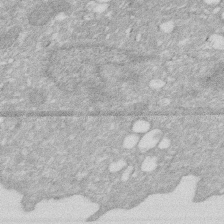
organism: Human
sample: HIV infected U937 cells